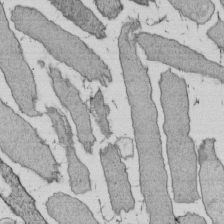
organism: E. coli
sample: Bacterial nucleoid